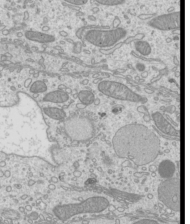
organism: Mouse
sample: Cilia; mouse epididymis